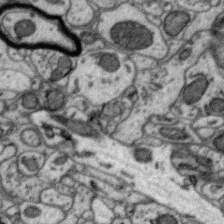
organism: Zebra finch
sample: Brain